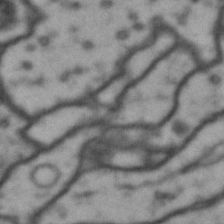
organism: Drosophila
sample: Brain